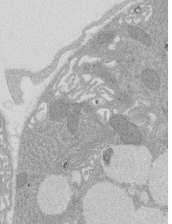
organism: Rat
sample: Salivary granule